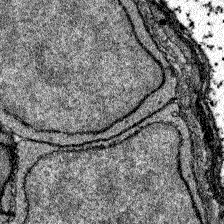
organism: Zebrafish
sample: Larval olfactory bulb